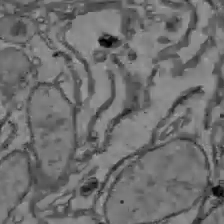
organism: C57BL Mouse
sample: Liver